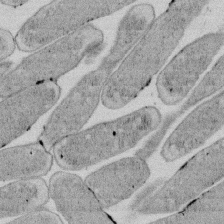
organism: E. coli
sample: Bacterial nucleoid